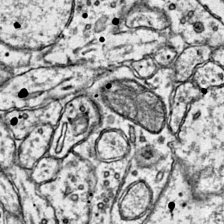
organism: Mouse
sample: Primary visual cortex